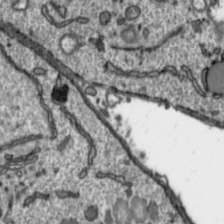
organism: Toxoplasma gondii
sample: Parasites in a vacuole inside a host cell